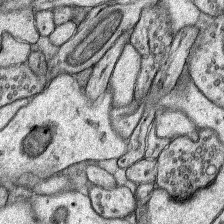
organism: Rat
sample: Hippocampus